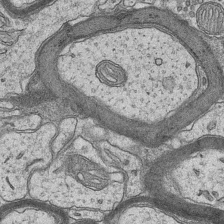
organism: Mouse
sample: CA1 Hippocampus